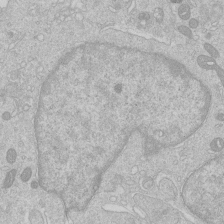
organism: Human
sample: Macrophage cells